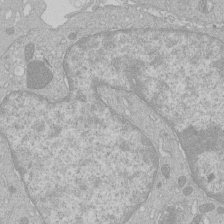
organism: Human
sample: Macrophage cells